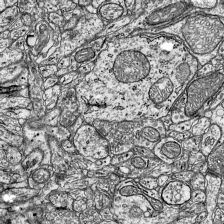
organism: Mouse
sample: Visual Cortex